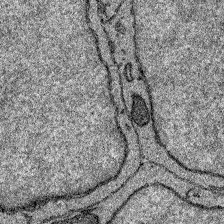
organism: Zebrafish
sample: Larval olfactory bulb